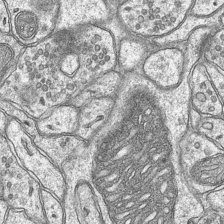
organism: Mouse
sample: CA1 Hippocampus